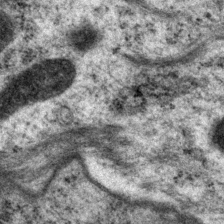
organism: P. pacificus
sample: Pharynx